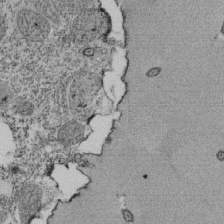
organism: Tetrahymena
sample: Cilia in tetrahymena